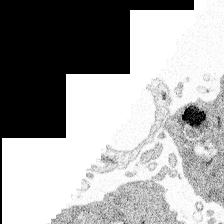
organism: Spongilla lacustris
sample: Multiple